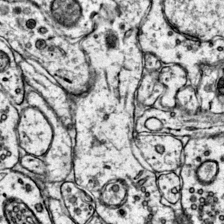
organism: Mouse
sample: Primary visual cortex